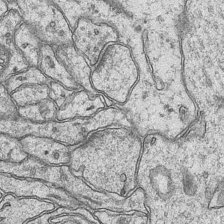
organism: Mouse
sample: CA1 Hippocampus